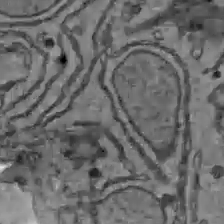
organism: C57BL Mouse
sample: Liver